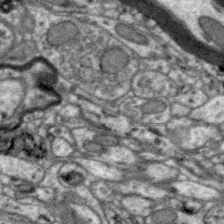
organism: Zebra finch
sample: Brain